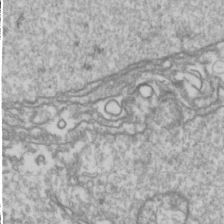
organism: Drosophila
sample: Cell division; meiosis; drosophila spermatocytes